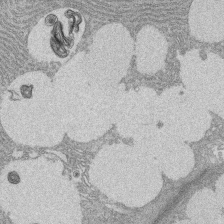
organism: Rat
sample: Salivary granule